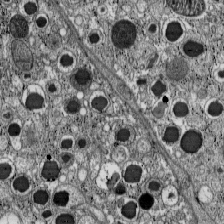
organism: C57BL Mouse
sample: Pancreatic islet